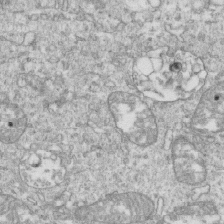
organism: Mouse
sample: Activated OT-1 CD8+ T cells